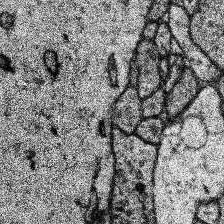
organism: Human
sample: Temporal Lobe